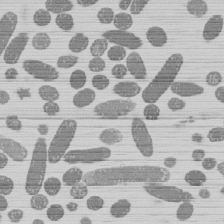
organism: E. coli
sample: Bacterial nucleoid